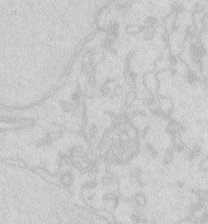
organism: Zebrafish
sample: Macrophage